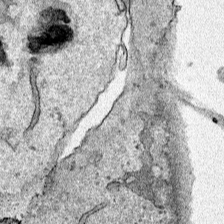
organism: Human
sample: Mitochondria in HCT116 cells